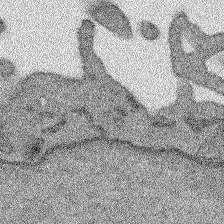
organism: Human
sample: HeLa cells